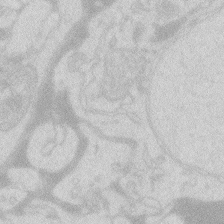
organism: Zebrafish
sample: Macrophage